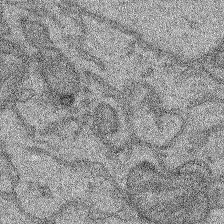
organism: Human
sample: HeLa cells